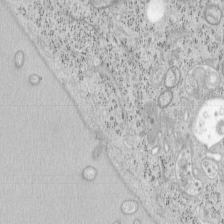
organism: Mouse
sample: OT-I killer T cells with ID8 ovarian cancer cells